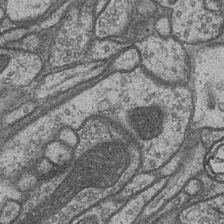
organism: Drosophila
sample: Optic medulla